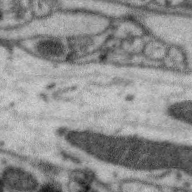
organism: Zebra finch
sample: Brain